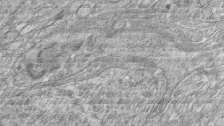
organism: Zebrafish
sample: synaptic ribbons in rod cells and cone cells